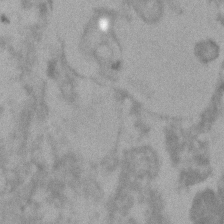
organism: Human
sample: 1205lu cells